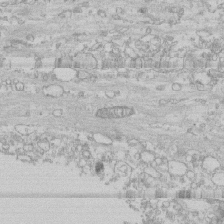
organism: Human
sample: CRL-1474